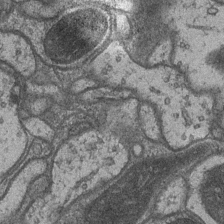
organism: Drosophila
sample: Optic medulla